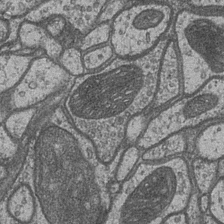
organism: Drosophila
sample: Optic medulla